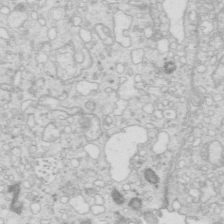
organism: Mouse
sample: Multiciliated cells